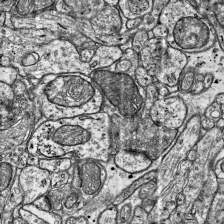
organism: Mouse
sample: Visual Cortex